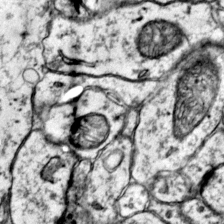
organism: Mouse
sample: Primary visual cortex